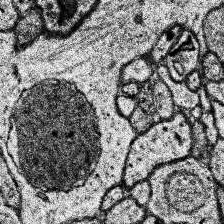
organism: Human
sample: Temporal Lobe